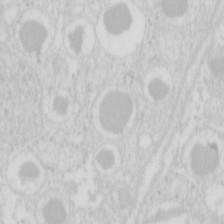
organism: Mouse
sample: Pancreas